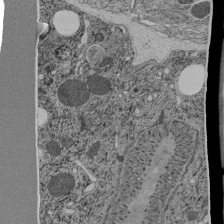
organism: C. elegans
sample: C. elegans pharynx